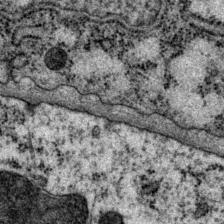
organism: P. pacificus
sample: Pharynx